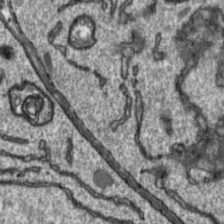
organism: Toxoplasma gondii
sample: Parasites in a vacuole inside a host cell